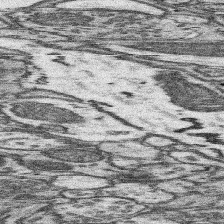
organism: Mouse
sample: Somatosensory cortex neuropil